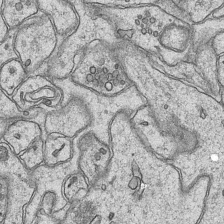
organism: Mouse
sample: CA1 Hippocampus